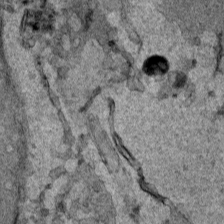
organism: Human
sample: Mitochondria in HCT116 cells